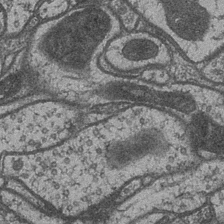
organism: Drosophila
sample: Optic medulla